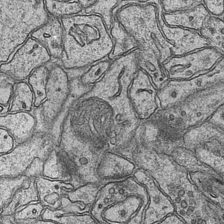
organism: Mouse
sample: CA1 Hippocampus